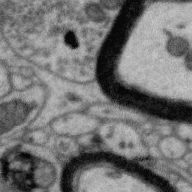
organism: Zebra finch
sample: Brain